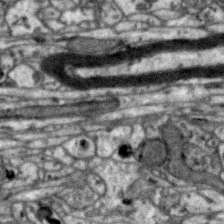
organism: Zebra finch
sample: Brain